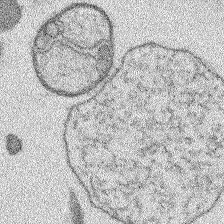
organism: Human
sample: HeLa cells